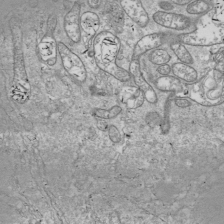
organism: Drosophila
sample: Cell division; meiosis; drosophila spermatocytes